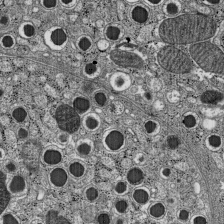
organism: C57BL Mouse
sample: Pancreatic islet